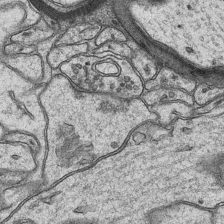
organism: Mouse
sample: CA1 Hippocampus